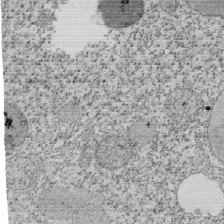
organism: Tetrahymena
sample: Cilia in tetrahymena